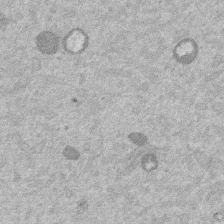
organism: Mouse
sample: Dividing mouse embryo 1 cell stage